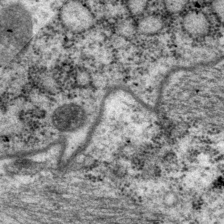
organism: P. pacificus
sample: Pharynx